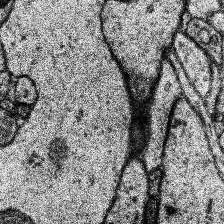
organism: Human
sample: Temporal Lobe